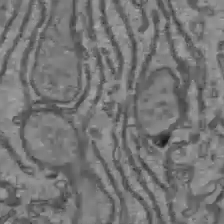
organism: C57BL Mouse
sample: Liver